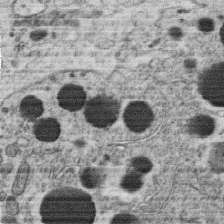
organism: C. elegans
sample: C. elegans oocyte; sperm cells